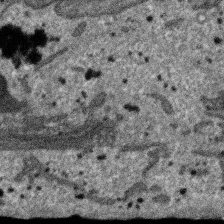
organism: Human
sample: Lung epithelial cells infected with SARS-CoV-2